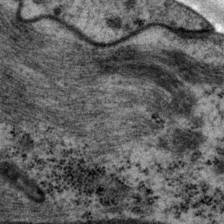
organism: P. pacificus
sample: Pharynx